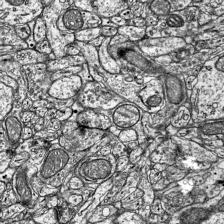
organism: Mouse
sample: Visual Cortex